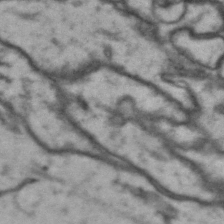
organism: Drosophila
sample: Brain